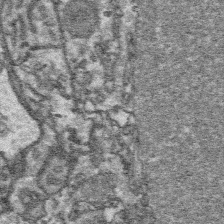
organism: Platynereis dumerilii